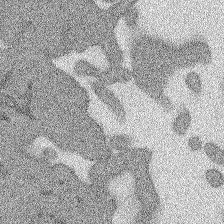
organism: Human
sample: HeLa cells